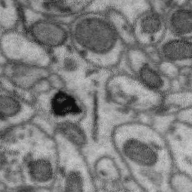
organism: Zebra finch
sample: Brain